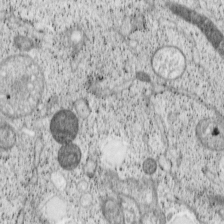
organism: African green monkey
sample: COS-7 cells